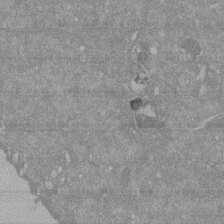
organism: Mouse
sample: ED-1 cell nuclei; centrioles